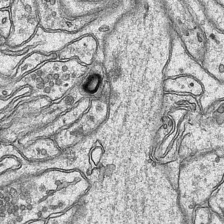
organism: Mouse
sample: CA1 Hippocampus